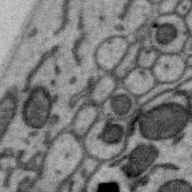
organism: Zebra finch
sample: Brain